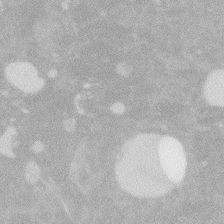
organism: Zebrafish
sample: Macrophage